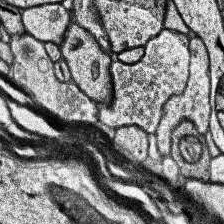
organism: Human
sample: Temporal Lobe